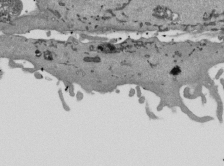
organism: Mouse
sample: ED-1 cell nuclei; centrioles